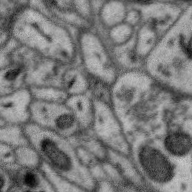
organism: Zebra finch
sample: Brain